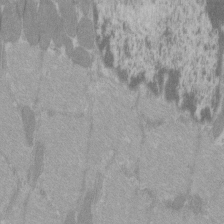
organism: C57BL Mouse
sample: Tibialis anterior muscle cell